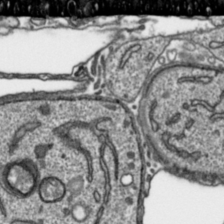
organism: Toxoplasma gondii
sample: Parasites in a vacuole inside a host cell